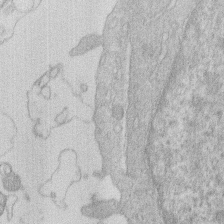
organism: Human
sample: Macrophage cells